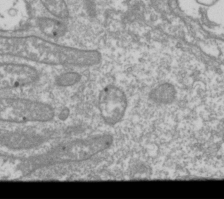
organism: Drosophila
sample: Cell division; meiosis; drosophila spermatocytes